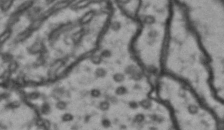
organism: Drosophila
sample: Brain